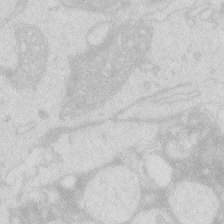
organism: Zebrafish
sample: Macrophage